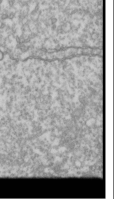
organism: Drosophila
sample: Cell division; meiosis; drosophila spermatocytes